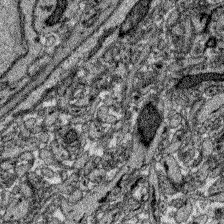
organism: Zebrafish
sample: Larval olfactory bulb